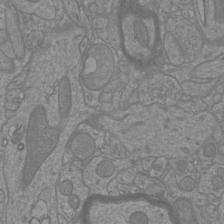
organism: Mouse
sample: Cortical neurons